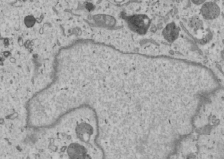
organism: Human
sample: Mitochondria in U2OS cells